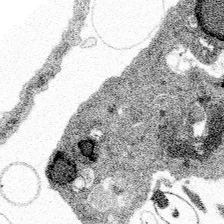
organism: Spongilla lacustris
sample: Multiple